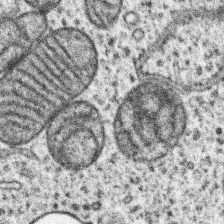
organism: Human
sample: HeLa cells